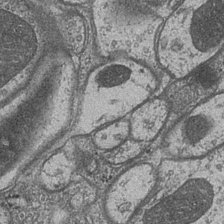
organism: Drosophila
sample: Optic medulla